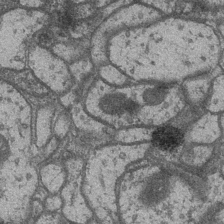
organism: Drosophila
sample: Optic medulla